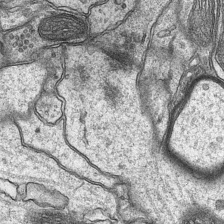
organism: Mouse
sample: CA1 Hippocampus